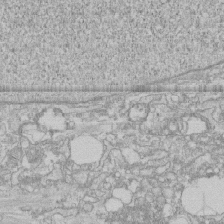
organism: Human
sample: CRL-1474